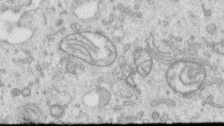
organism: Human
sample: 1205lu cells